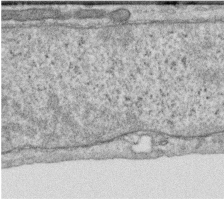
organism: Human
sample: Centriole in RPE cells